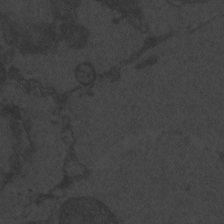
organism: Zebrafish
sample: Macrophage infected with Toxoplasma gondii